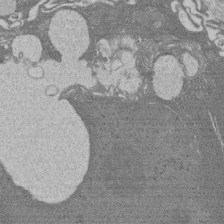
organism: Rat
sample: Salivary granule